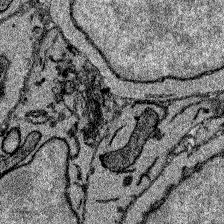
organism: Zebrafish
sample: Larval olfactory bulb